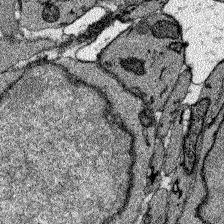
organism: Zebrafish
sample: Larval olfactory bulb